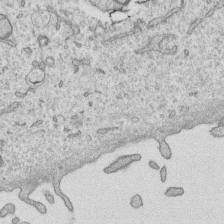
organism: Human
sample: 1205lu cells